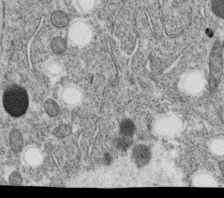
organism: C. elegans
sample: C. elegans oocyte; sperm cells